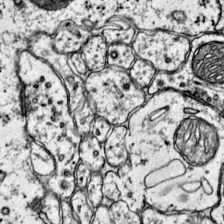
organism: Mouse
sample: Primary visual cortex